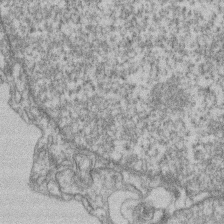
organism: Mouse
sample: T cell stromal cell synapse